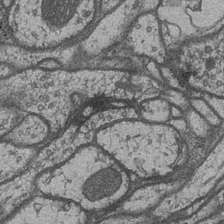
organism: Drosophila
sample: Optic medulla